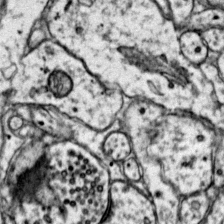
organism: Mouse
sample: Primary visual cortex